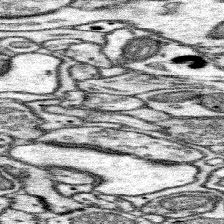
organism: Mouse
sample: Somatosensory cortex neuropil